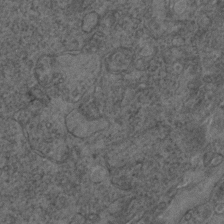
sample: Trachea